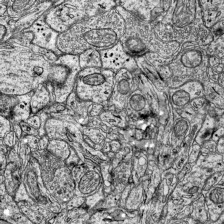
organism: Mouse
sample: Visual Cortex